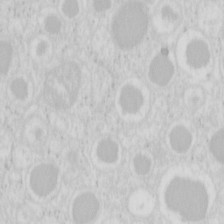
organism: Mouse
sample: Pancreas